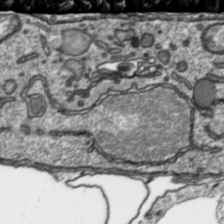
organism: Toxoplasma gondii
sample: Parasites in a vacuole inside a host cell